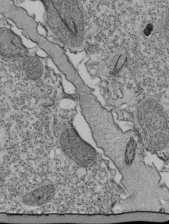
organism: Tetrahymena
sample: Cilia in tetrahymena